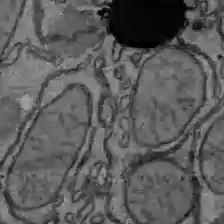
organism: C57BL Mouse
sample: Liver